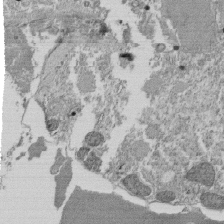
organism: Tetrahymena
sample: Cilia in tetrahymena